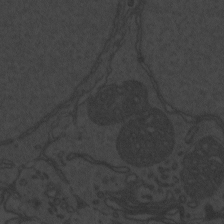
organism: Zebrafish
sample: Macrophage infected with Toxoplasma gondii